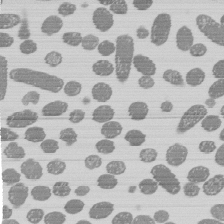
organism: E. coli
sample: Bacterial nucleoid